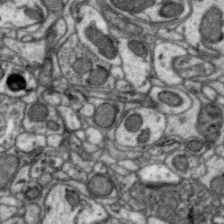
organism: Zebra finch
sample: Brain